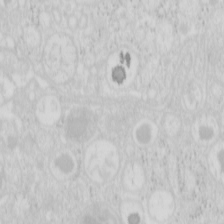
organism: Mouse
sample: Pancreas